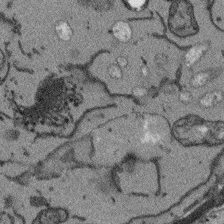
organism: Arabidopsis thaliana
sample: Root tip